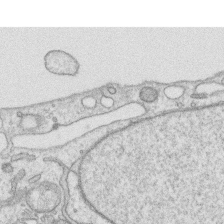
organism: Human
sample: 1205lu cells